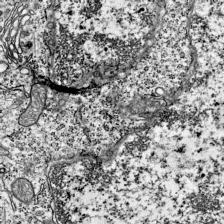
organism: Mouse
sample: Visual Cortex